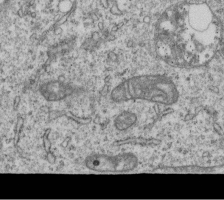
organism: Human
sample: MDA-MB-231 cells